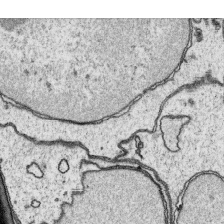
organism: Platynereis dumerilii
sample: Parapodia